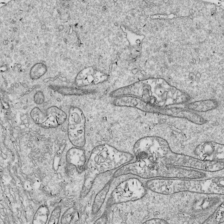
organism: Drosophila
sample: Cell division; meiosis; drosophila spermatocytes